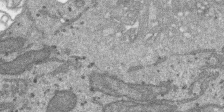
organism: Human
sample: Lung epithelial cells infected with SARS-CoV-2